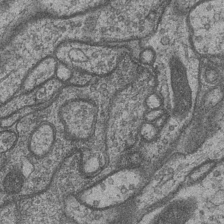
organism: Drosophila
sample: Optic medulla